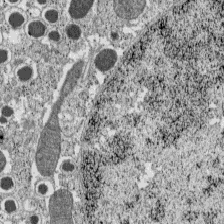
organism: C57BL Mouse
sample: Pancreatic islet